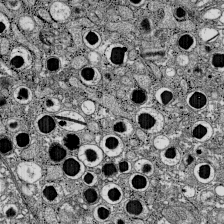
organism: C57BL Mouse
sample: Pancreatic islet